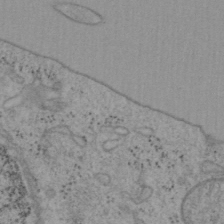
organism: Human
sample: HeLa cells